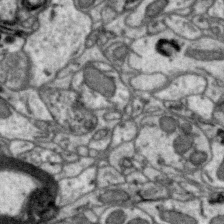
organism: Zebra finch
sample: Brain